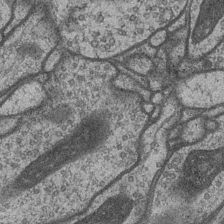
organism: Drosophila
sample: Optic medulla